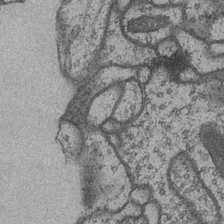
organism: Drosophila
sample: Optic medulla